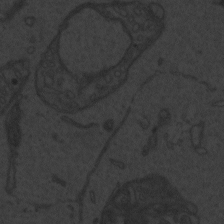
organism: Zebrafish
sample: Macrophage infected with Toxoplasma gondii